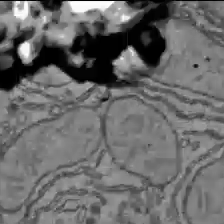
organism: C57BL Mouse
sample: Liver